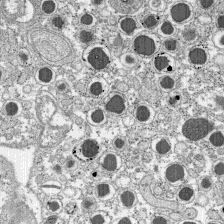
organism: C57BL Mouse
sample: Pancreatic islet